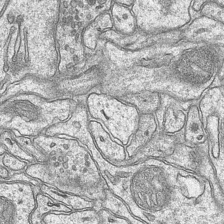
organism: Mouse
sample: CA1 Hippocampus